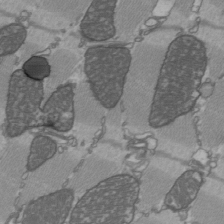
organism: C57BL Mouse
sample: Heart